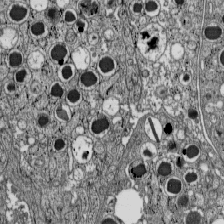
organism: C57BL Mouse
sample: Pancreatic islet